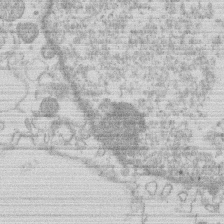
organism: Human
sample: Macrophage cells